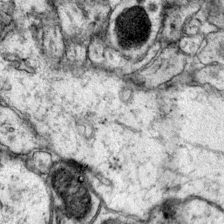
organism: Mouse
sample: Primary visual cortex